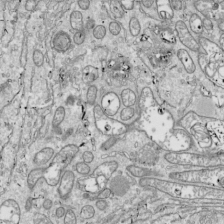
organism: Drosophila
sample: Cell division; meiosis; drosophila spermatocytes